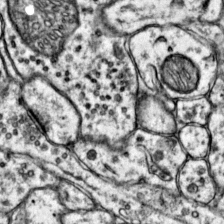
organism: Mouse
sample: Primary visual cortex